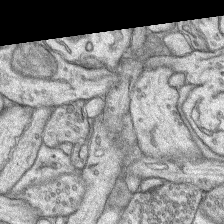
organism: Rat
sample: Hippocampus